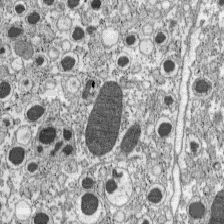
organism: C57BL Mouse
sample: Pancreatic islet